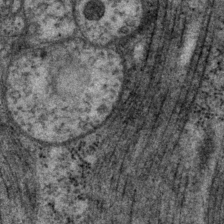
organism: P. pacificus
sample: Pharynx